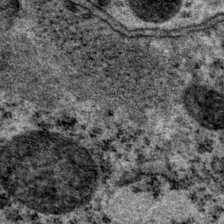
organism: P. pacificus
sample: Pharynx